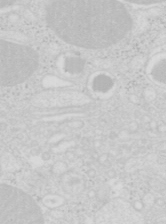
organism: Mouse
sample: Pancreas